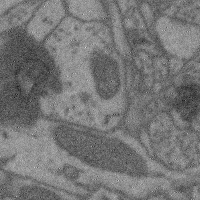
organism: Mouse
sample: Cerebral cortex